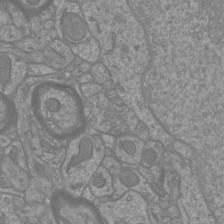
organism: Mouse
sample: Cortical neurons